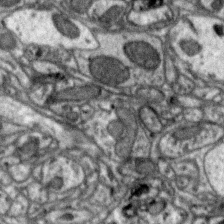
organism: Zebra finch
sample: Brain